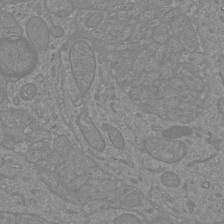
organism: Mouse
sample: Cortical neurons